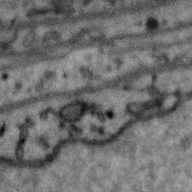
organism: Zebra finch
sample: Brain